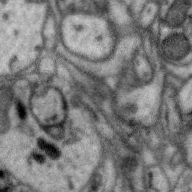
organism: Zebra finch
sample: Brain